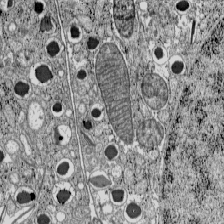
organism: C57BL Mouse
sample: Pancreatic islet